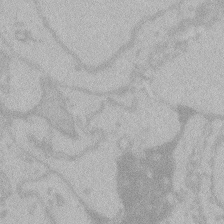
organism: Zebrafish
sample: Macrophage infected with Toxoplasma gondii